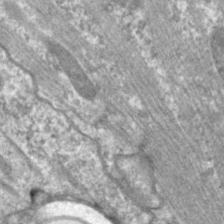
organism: C. elegans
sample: Pharynx